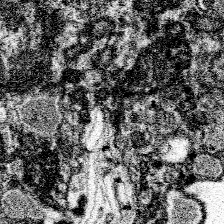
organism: Spongilla lacustris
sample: Neuroid cell